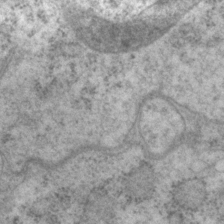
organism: P. pacificus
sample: Pharynx